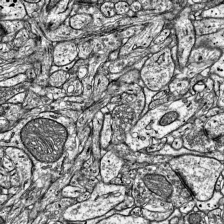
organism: Mouse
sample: Visual Cortex